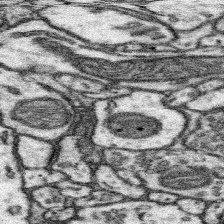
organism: Mouse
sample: Somatosensory cortex neuropil